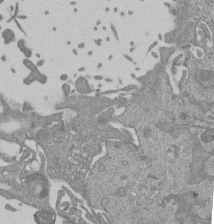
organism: Mouse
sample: ED-1 cell nuclei; centrioles